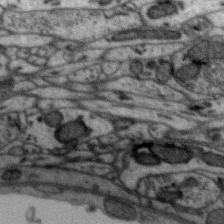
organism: Zebra finch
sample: Brain